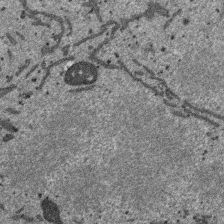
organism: Human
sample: Lung epithelial cells infected with SARS-CoV-2